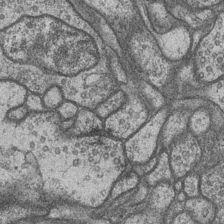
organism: Drosophila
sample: Optic medulla